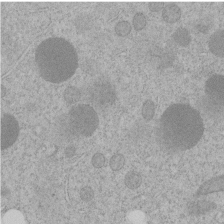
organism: C. elegans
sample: C. elegans embryo early stage